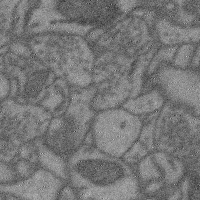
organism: Mouse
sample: Cerebral cortex